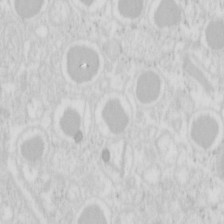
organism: Mouse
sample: Pancreas